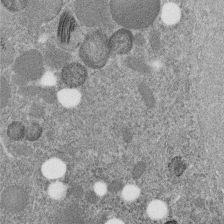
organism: C. elegans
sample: C. elegans embryo early stage